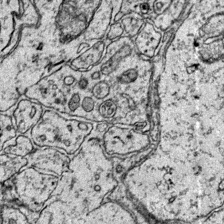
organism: Mouse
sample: Primary visual cortex